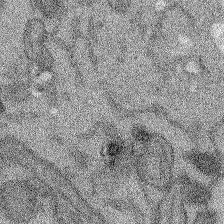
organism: Human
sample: HeLa cells